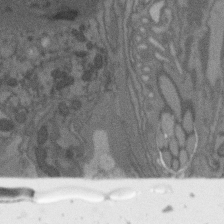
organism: C. elegans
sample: AFD neurons C. elegans